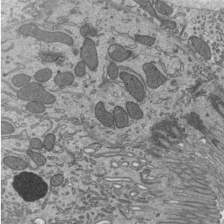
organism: Mouse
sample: Mouse epididymis efferent ductule cilia